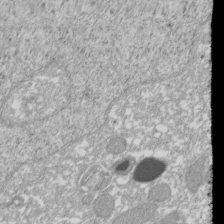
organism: Xenopus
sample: Cilia; centrioles in frog embryo cells